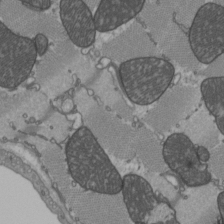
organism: C57BL Mouse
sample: Heart